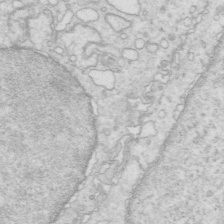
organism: Mouse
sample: Multiciliated cells